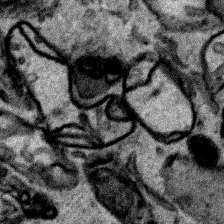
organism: Human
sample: Mitochondria in HCT116 cells